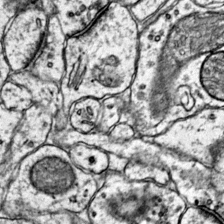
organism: Mouse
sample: Primary visual cortex